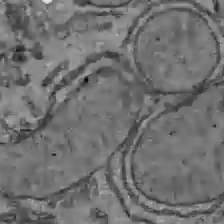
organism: C57BL Mouse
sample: Liver